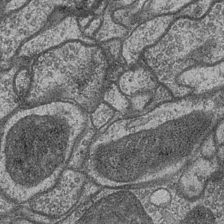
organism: Drosophila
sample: Optic medulla